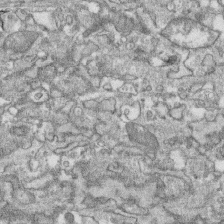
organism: Human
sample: CRL-1474